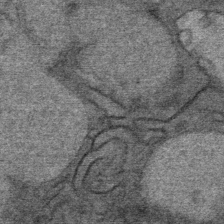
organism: Mouse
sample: Mouse Salivary gland